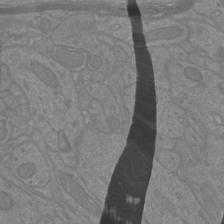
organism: Mouse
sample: Cortical neurons